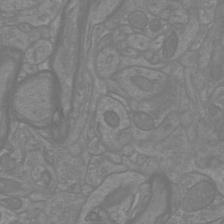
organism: Mouse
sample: Cortical neurons